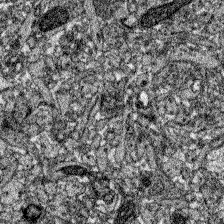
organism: Zebrafish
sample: Larval olfactory bulb